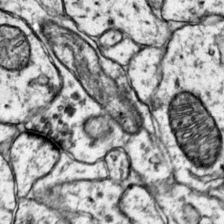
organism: Mouse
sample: Primary visual cortex